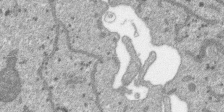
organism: Human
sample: Lung epithelial cells infected with SARS-CoV-2